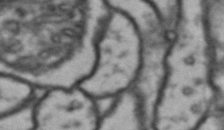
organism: Drosophila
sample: Brain